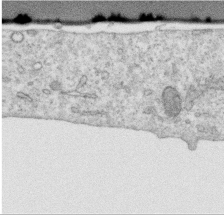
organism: Human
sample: Centriole in RPE cells